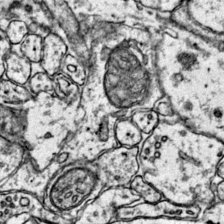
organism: Mouse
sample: Primary visual cortex